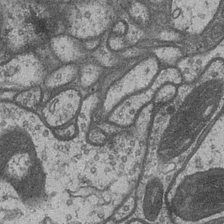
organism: Drosophila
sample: Optic medulla